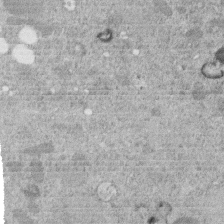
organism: C. elegans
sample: C. elegans embryo early stage